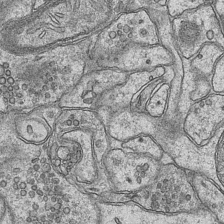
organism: Mouse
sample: CA1 Hippocampus